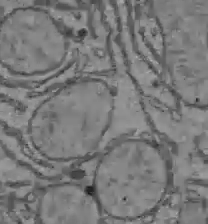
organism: C57BL Mouse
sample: Liver